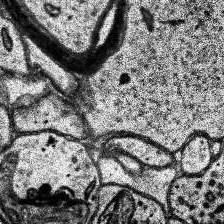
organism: Human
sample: Temporal Lobe